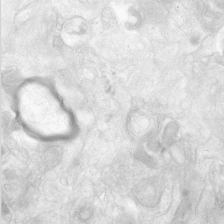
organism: Human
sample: Neocortex